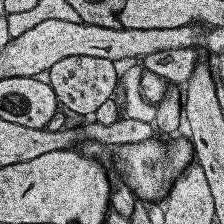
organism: Human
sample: Temporal Lobe